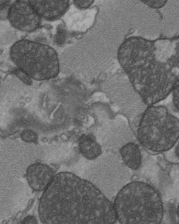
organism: C57BL Mouse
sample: Heart